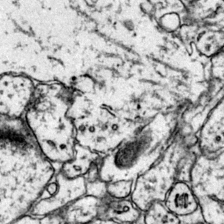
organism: Mouse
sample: Primary visual cortex